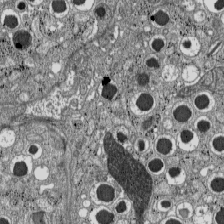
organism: C57BL Mouse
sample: Pancreatic islet